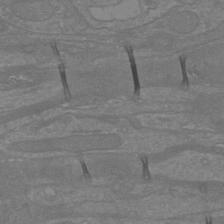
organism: Mouse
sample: Cortical neurons